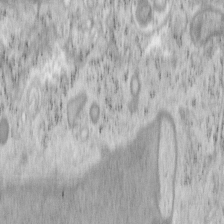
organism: Human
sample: HeLa cells